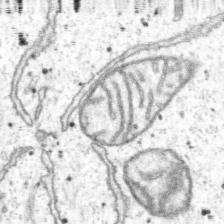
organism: Human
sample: HeLa cells